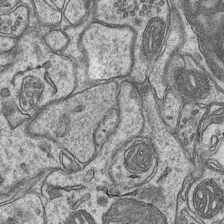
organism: Mouse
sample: CA1 Hippocampus